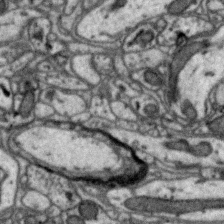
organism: Zebra finch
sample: Brain